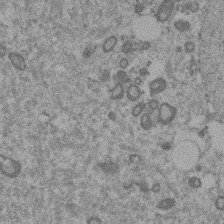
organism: Mouse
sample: Dividing mouse embryo 1 cell stage